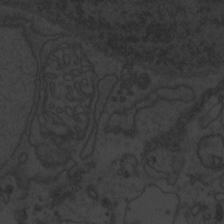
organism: Zebrafish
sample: Macrophage infected with Toxoplasma gondii